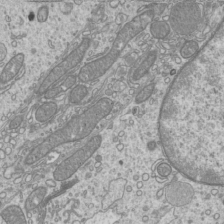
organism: Mouse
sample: Cilia; mouse epididymis